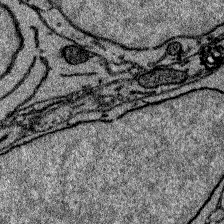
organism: Zebrafish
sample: Larval olfactory bulb